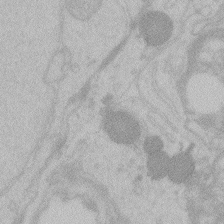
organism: Zebrafish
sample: Macrophage infected with Toxoplasma gondii